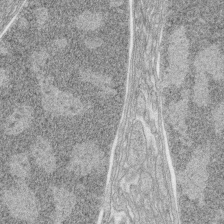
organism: Zebrafish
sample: synaptic ribbons in rod cells and cone cells